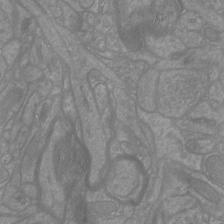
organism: Mouse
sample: Cortical neurons